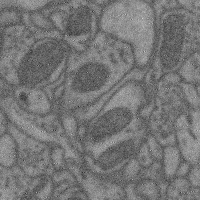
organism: Mouse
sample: Cerebral cortex